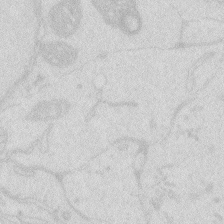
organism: Zebrafish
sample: Macrophage